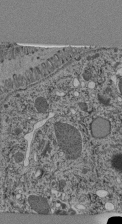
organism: C. elegans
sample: C. elegans pharynx